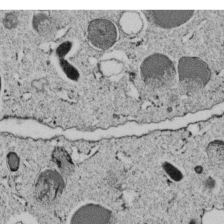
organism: C. elegans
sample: C. elegans embryo early stage